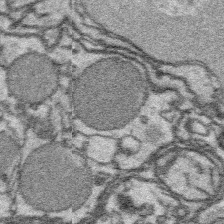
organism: Platynereis dumerilii